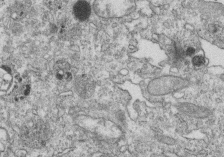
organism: Human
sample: HeLa cell HIV synapse